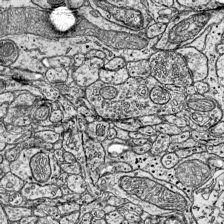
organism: Mouse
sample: Visual Cortex